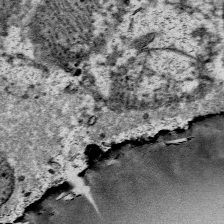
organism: Mouse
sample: Mouse Salivary gland